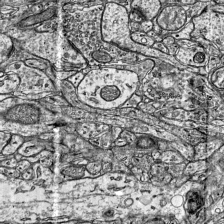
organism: Mouse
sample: Visual Cortex